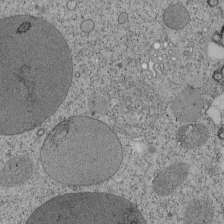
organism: Tetrahymena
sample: Cilia in tetrahymena